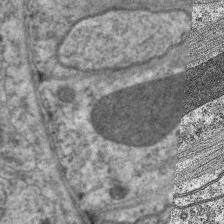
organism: C. elegans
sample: Pharynx